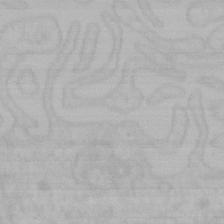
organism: Mouse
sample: Choroid plexus